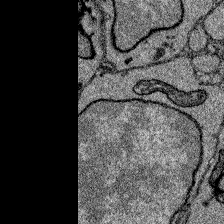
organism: Zebrafish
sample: Larval olfactory bulb